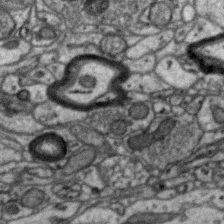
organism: Zebra finch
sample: Brain